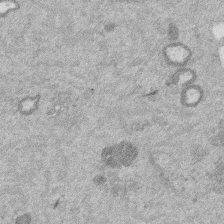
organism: Mouse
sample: Dividing mouse embryo 1 cell stage